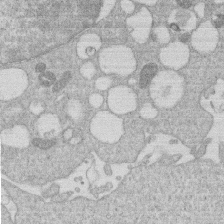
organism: Human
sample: Macrophage cells